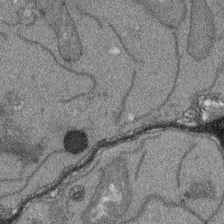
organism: Arabidopsis thaliana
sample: Root tip